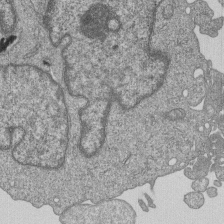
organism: Human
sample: MDA-MB-231 cells